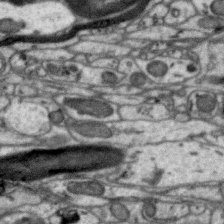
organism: Zebra finch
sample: Brain